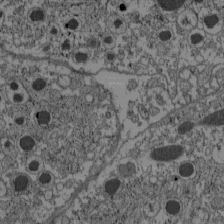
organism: C57BL Mouse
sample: Pancreatic islet